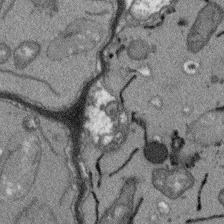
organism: Arabidopsis thaliana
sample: Root tip